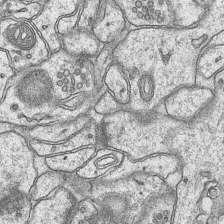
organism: Mouse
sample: CA1 Hippocampus